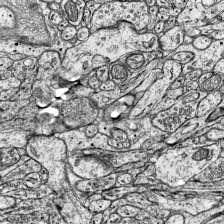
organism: Mouse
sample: Visual Cortex